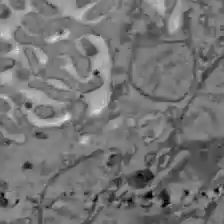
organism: C57BL Mouse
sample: Liver